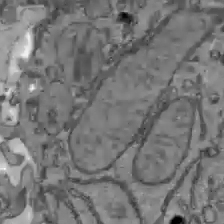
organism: C57BL Mouse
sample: Liver